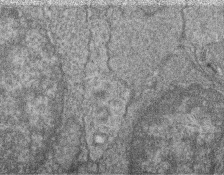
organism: Zebrafish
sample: Cilia; retinal pigment epithelium